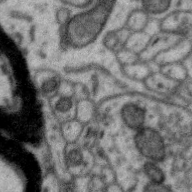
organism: Zebra finch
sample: Brain